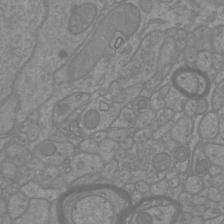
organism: Mouse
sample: Cortical neurons